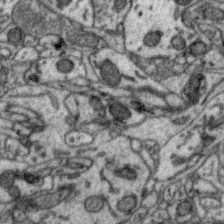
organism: Zebra finch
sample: Brain